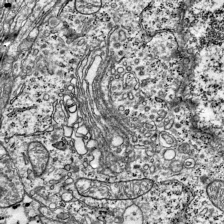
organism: Mouse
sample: Visual Cortex